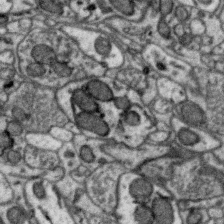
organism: Zebra finch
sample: Brain